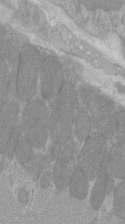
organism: C57BL Mouse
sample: Tibialis anterior muscle cell